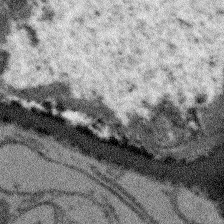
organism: Arabidopsis thaliana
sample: Root tip